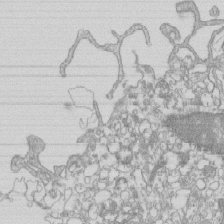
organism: Mouse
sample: Macrophages